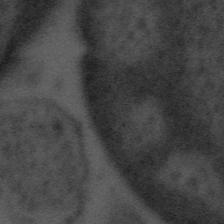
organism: Tuwongella immobilis